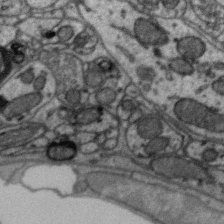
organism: Zebra finch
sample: Brain